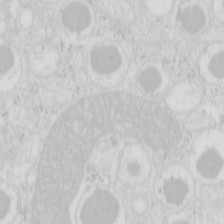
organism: Mouse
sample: Pancreas